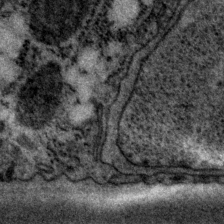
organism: P. pacificus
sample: Pharynx